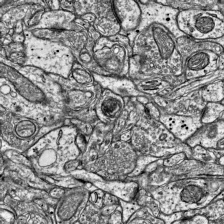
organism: Mouse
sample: Visual Cortex